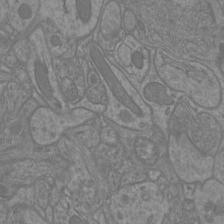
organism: Mouse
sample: Cortical neurons